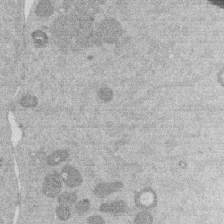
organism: Mouse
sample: Dividing mouse embryo 1 cell stage